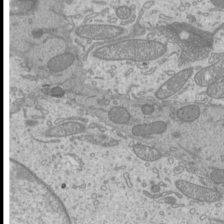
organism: Mouse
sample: Cilia; mouse epididymis